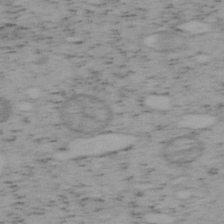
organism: Mouse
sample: OT-I killer T cells with ID8 ovarian cancer cells